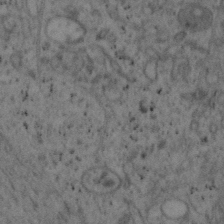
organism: Human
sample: HeLa cells